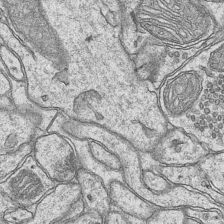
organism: Mouse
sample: CA1 Hippocampus